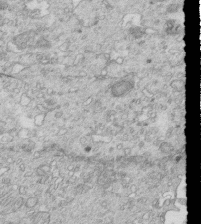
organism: Mouse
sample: Multiciliated cells